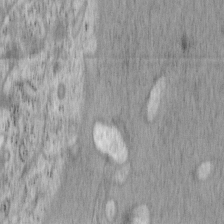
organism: Human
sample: HeLa cells